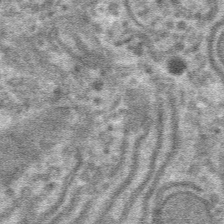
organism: Mouse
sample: Mouse hepatocytes